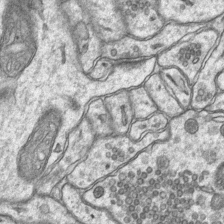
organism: Mouse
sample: CA1 Hippocampus